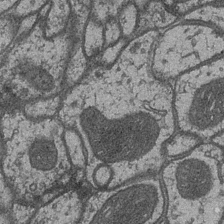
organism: Drosophila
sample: Optic medulla